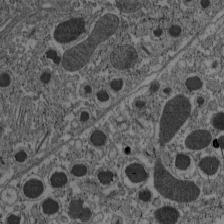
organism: C57BL Mouse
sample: Pancreatic islet